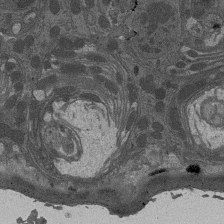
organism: Drosophila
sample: Antenna